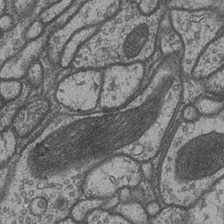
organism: Drosophila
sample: Optic medulla